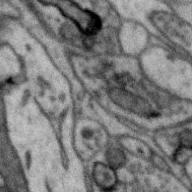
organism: Zebra finch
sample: Brain